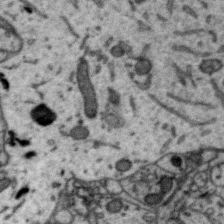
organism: Zebra finch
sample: Brain